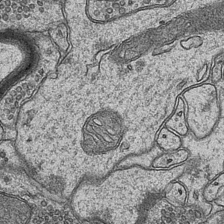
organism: Mouse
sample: CA1 Hippocampus